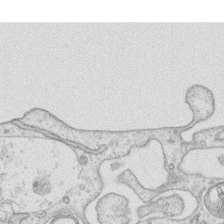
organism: Human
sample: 1205lu cells